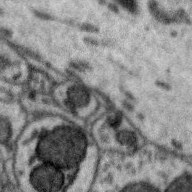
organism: Zebra finch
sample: Brain